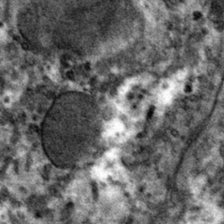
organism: Mouse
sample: Mouse hepatocytes